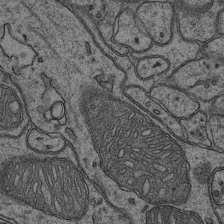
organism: Mouse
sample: CA1 Hippocampus